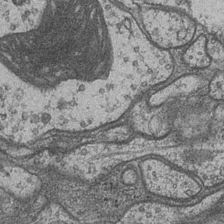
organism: Drosophila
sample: Optic medulla